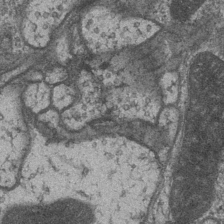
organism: Drosophila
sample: Optic medulla